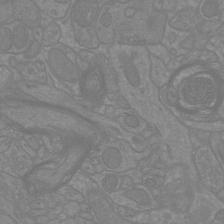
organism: Mouse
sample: Cortical neurons